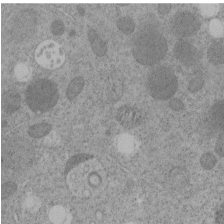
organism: C. elegans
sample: C. elegans embryo early stage